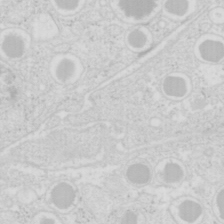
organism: Mouse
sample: Pancreas